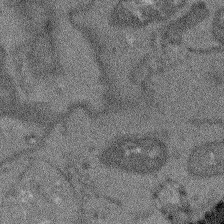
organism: Arabidopsis thaliana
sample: Root tip